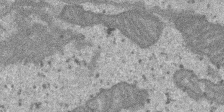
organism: Human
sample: Lung epithelial cells infected with SARS-CoV-2